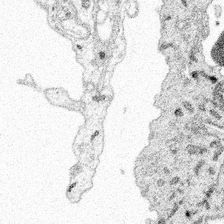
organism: Spongilla lacustris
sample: Multiple